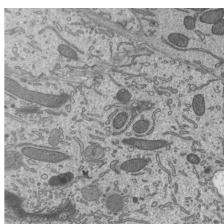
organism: Mouse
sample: Mouse epididymis efferent ductule cilia